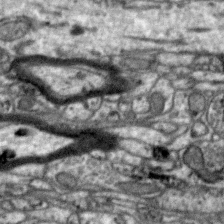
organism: Zebra finch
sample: Brain